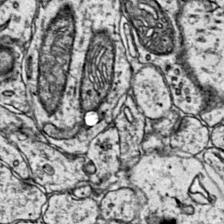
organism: Mouse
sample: Primary visual cortex